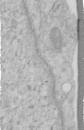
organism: Human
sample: Centriole in RPE cells